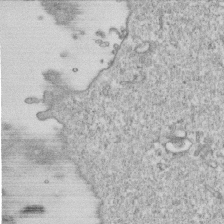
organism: Mouse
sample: Activated OT-1 CD8+ T cells